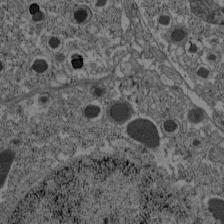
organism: C57BL Mouse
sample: Pancreatic islet